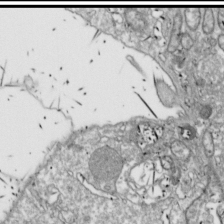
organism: Drosophila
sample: Cell division; meiosis; drosophila spermatocytes